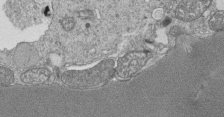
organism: Tetrahymena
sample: Cilia in tetrahymena